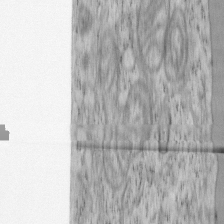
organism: Human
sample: HeLa cells